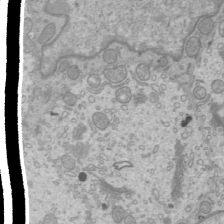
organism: Mouse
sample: Cilia; mouse epididymis